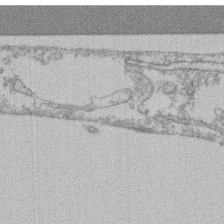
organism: Mouse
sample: T cell stromal cell synapse